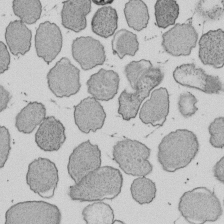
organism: E. coli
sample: Bacterial nucleoid